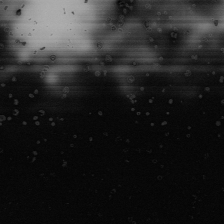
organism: Human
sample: Mitochondria in U2OS cells